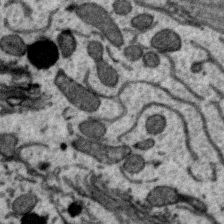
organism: Zebra finch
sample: Brain